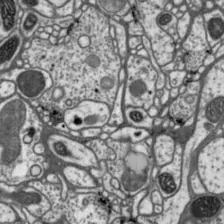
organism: Drosophila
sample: Protocerebral bridge